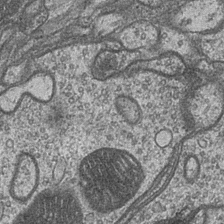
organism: Drosophila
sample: Optic medulla